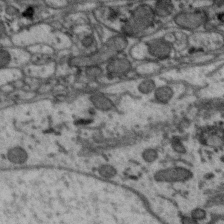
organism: Zebra finch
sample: Brain